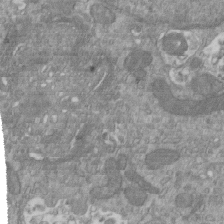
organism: Mouse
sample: ED-1 cell nuclei; centrioles